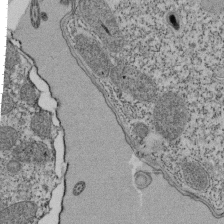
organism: Tetrahymena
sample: Cilia in tetrahymena